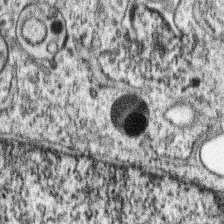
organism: Human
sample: HeLa cells